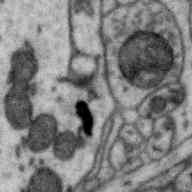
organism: Zebra finch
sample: Brain